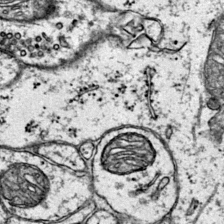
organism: Mouse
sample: Primary visual cortex